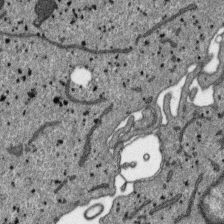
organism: Human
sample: Lung epithelial cells, uninfected (mock) control